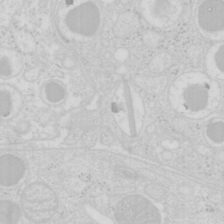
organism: Mouse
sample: Pancreas